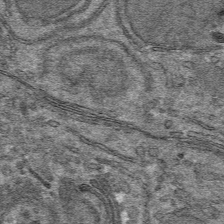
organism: Mouse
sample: Mouse hepatocytes